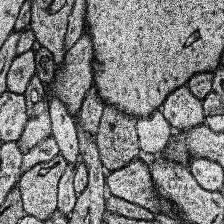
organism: Human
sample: Temporal Lobe